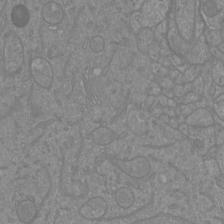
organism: Mouse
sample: Cortical neurons